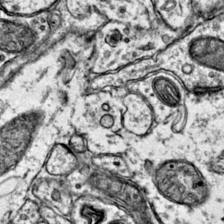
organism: Mouse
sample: Primary visual cortex